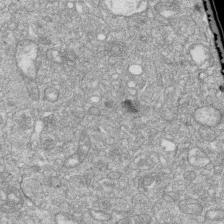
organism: Human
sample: HeLa cell HIV synapse